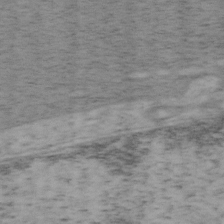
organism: Mouse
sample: OT-I killer T cells with ID8 ovarian cancer cells